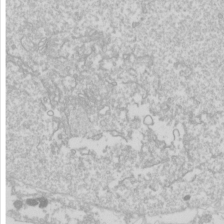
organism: Drosophila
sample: Cell division; meiosis; drosophila spermatocytes